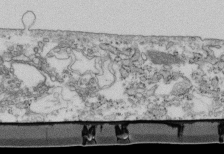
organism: Mouse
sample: Cilia; retinal pigment epithelium